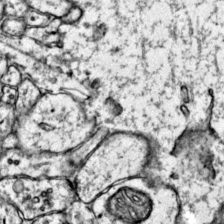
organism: Mouse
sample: Primary visual cortex